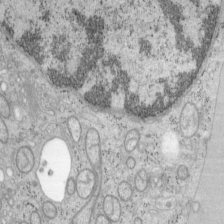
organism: Mouse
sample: OT-I killer T cells with ID8 ovarian cancer cells